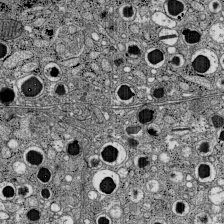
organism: C57BL Mouse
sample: Pancreatic islet